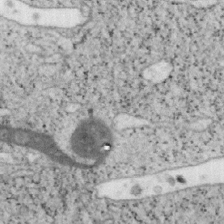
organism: Mouse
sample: OT-I killer T cells with ID8 ovarian cancer cells